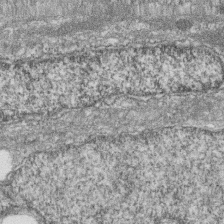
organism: Zebrafish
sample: Cilia; retinal pigment epithelium